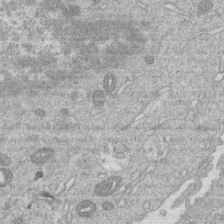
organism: Human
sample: Macrophage cells